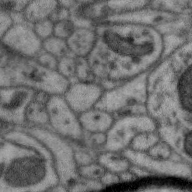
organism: Zebra finch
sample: Brain